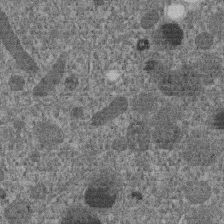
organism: C. elegans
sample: C. elegans embryo early stage